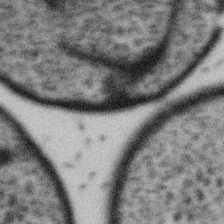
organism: Gemmata obscuriglobus